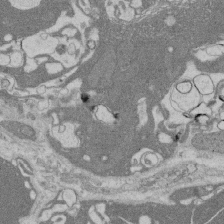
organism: Rat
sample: Salivary granule